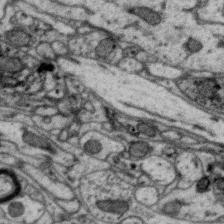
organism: Zebra finch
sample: Brain